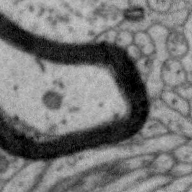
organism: Zebra finch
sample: Brain